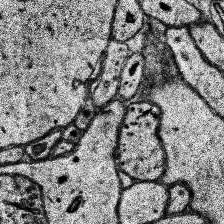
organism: Human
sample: Temporal Lobe